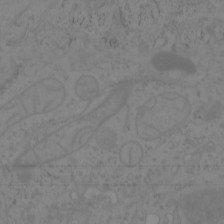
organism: Human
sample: HeLa cells